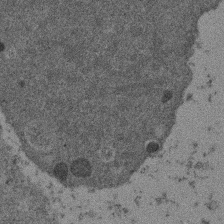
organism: Mouse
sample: Dividing mouse embryo 1 cell stage